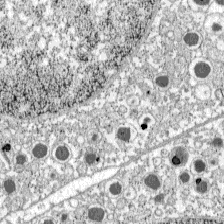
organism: C57BL Mouse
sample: Pancreatic islet